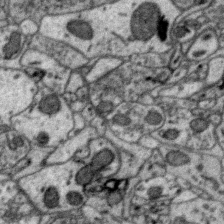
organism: Zebra finch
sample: Brain